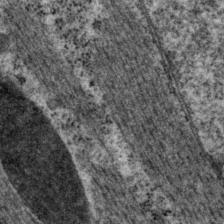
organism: P. pacificus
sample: Pharynx